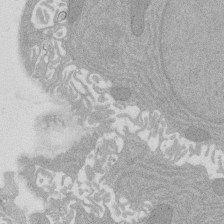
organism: Rat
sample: Salivary granule